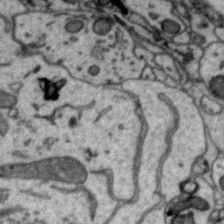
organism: Zebra finch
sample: Brain